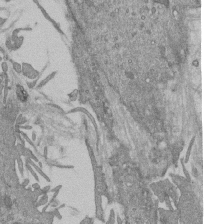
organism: Mouse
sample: ED-1 cell nuclei; centrioles